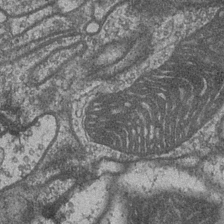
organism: Drosophila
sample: Optic medulla